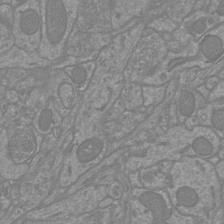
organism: Mouse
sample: Cortical neurons